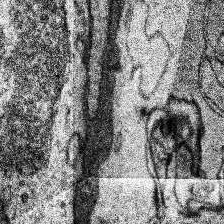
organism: Human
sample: Temporal Lobe